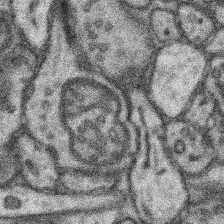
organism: Mouse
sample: Somatosensory cortex neuropil